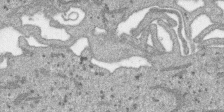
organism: Human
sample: Lung epithelial cells infected with SARS-CoV-2